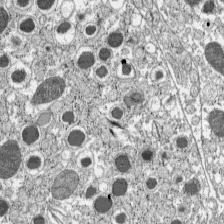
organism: C57BL Mouse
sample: Pancreatic islet